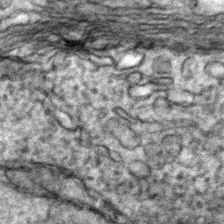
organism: Zebrafish